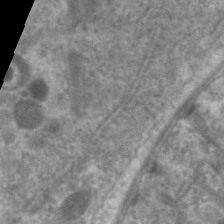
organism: C. elegans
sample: Pharynx